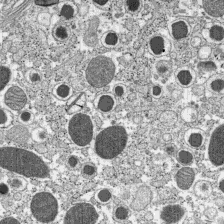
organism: C57BL Mouse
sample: Pancreatic islet